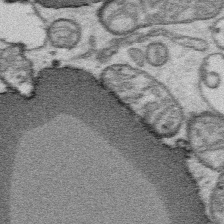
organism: Platynereis dumerilii